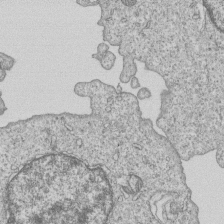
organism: Human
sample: MDA-MB-231 cells